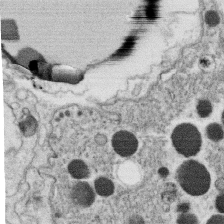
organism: C. elegans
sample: C. elegans oocyte; sperm cells